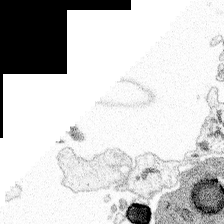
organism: Spongilla lacustris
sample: Multiple